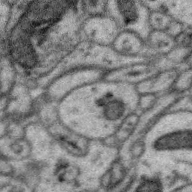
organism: Zebra finch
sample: Brain